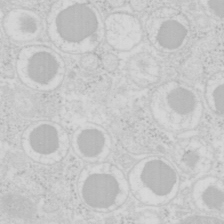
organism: Mouse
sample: Pancreas